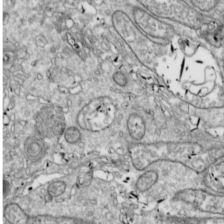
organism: Drosophila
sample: Cell division; meiosis; drosophila spermatocytes